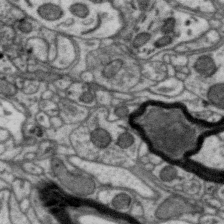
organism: Zebra finch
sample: Brain